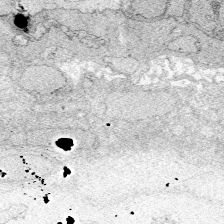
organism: Zebrafish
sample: Whole-Brain